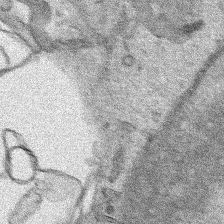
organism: Human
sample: Mitochondria in HCT116 cells